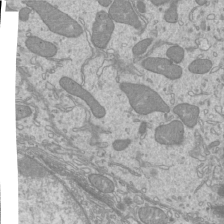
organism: Mouse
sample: Cilia; mouse epididymis